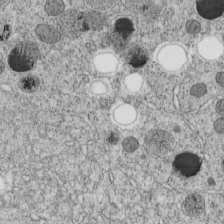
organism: C. elegans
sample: C. elegans embryo early stage